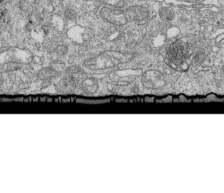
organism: Human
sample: HeLa cell HIV synapse